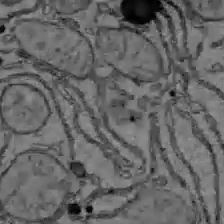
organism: C57BL Mouse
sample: Liver